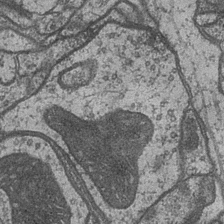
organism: Drosophila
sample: Optic medulla